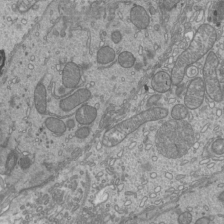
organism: Mouse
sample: Cilia; mouse epididymis